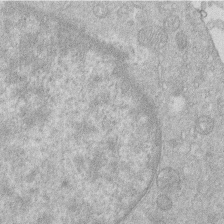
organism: Human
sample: Macrophage cells